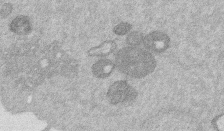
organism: Mouse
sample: Dividing mouse embryo 1 cell stage